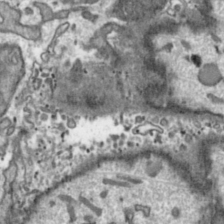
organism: Toxoplasma gondii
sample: Parasites in a vacuole inside a host cell